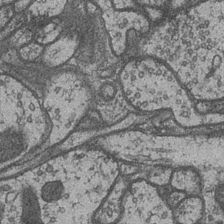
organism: Drosophila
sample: Optic medulla